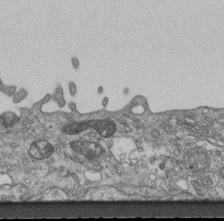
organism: Mouse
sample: Centriole in ependymal cells